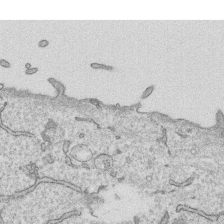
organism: Human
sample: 1205lu cells